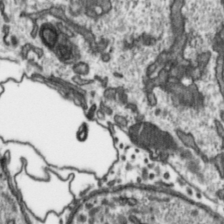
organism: Toxoplasma gondii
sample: Parasites in a vacuole inside a host cell